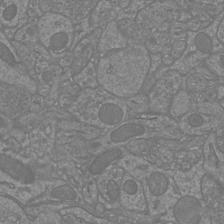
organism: Mouse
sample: Cortical neurons